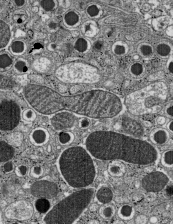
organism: C57BL Mouse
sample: Pancreatic islet